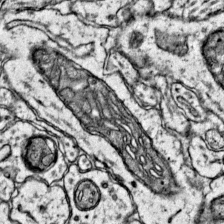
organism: Mouse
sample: Primary visual cortex